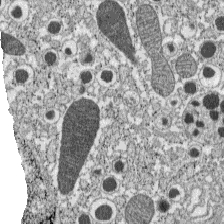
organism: C57BL Mouse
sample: Pancreatic islet